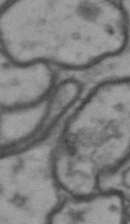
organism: Drosophila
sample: Brain